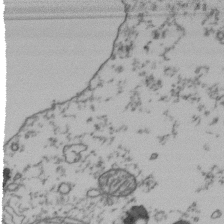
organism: Human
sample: Activated Jurkat CD4+ T cells